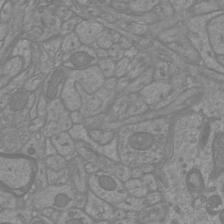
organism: Mouse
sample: Cortical neurons